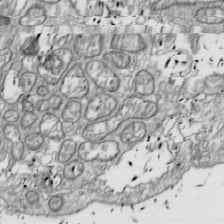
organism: Drosophila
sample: Cell division; meiosis; drosophila spermatocytes